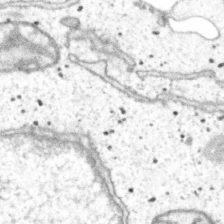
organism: Human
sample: HeLa cells